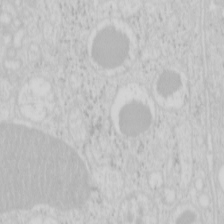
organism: Mouse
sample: Pancreas